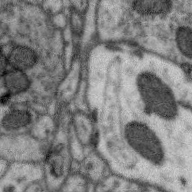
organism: Zebra finch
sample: Brain